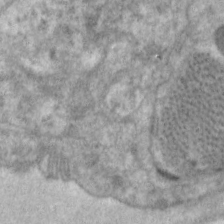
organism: C. elegans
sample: Pharynx